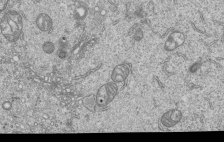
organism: Human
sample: MDA-MB-231 cells